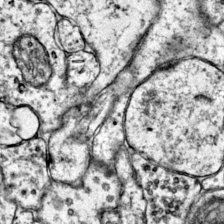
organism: Mouse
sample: Primary visual cortex